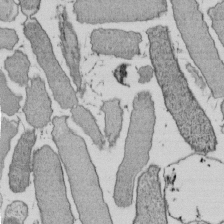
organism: E. coli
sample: Bacterial nucleoid